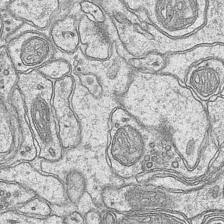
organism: Mouse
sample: CA1 Hippocampus